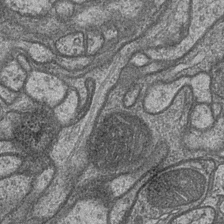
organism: Drosophila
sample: Optic medulla